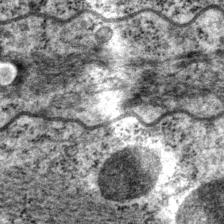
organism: P. pacificus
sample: Pharynx